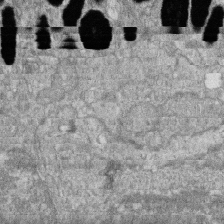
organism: Zebrafish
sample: Cilia; retinal pigment epithelium